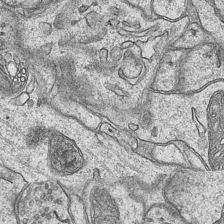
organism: Mouse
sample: CA1 Hippocampus